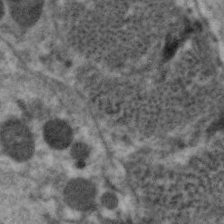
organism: C. elegans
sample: Pharynx